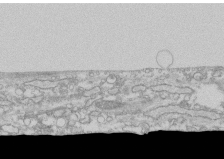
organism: Human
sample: CRL-1474